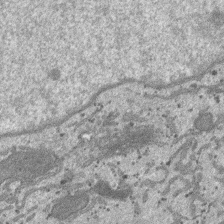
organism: Human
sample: Lung epithelial cells infected with SARS-CoV-2